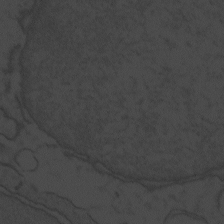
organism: Zebrafish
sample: Macrophage infected with Toxoplasma gondii